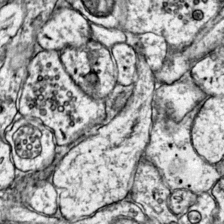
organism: Mouse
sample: Primary visual cortex